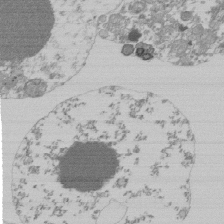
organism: Mouse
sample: Activated Pmel transgenic CD8+ T Cells